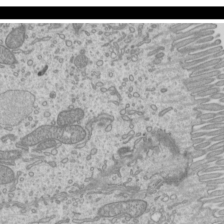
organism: Mouse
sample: Cilia; mouse epididymis